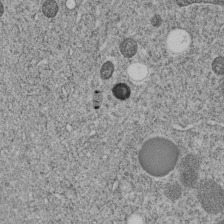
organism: C. elegans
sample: C. elegans embryo early stage